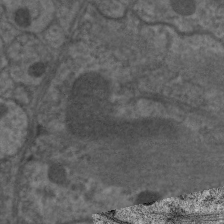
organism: C. elegans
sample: Pharynx